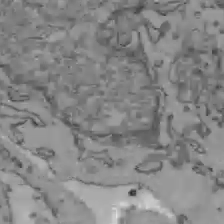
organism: C57BL Mouse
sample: Liver